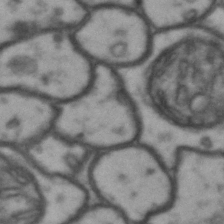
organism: Drosophila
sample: Brain